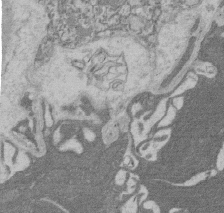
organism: Rat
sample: Salivary granule